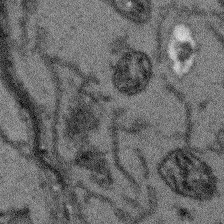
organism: Arabidopsis thaliana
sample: Root tip